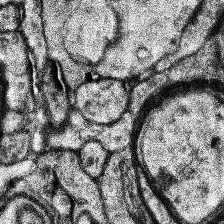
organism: Human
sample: Temporal Lobe